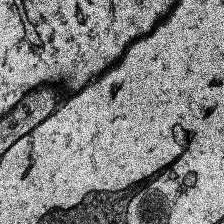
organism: Human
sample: Temporal Lobe